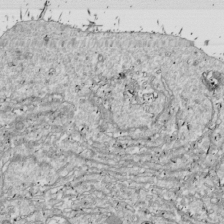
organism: Drosophila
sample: Cell division; meiosis; drosophila spermatocytes